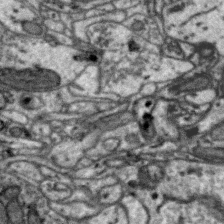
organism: Zebra finch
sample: Brain